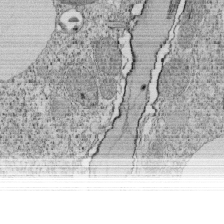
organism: Tetrahymena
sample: Cilia in tetrahymena